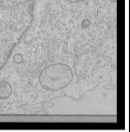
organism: Human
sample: Mitochondria in HCT116 cells